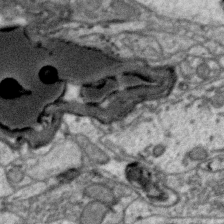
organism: Zebra finch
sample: Brain